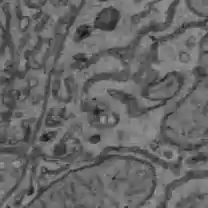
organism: C57BL Mouse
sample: Liver